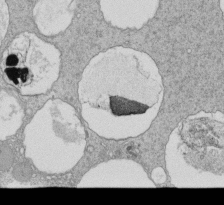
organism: Tetrahymena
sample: Cilia in tetrahymena